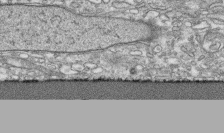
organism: Human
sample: CRL-1474